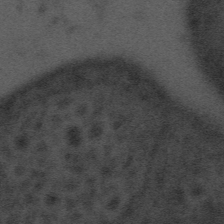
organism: Tuwongella immobilis